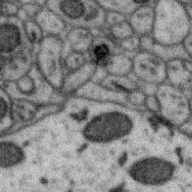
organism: Zebra finch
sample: Brain